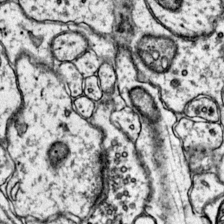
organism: Mouse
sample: Primary visual cortex